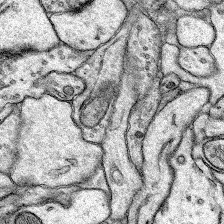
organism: Rat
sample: Hippocampus